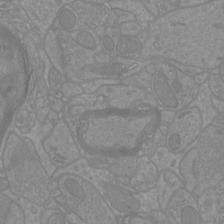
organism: Mouse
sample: Cortical neurons